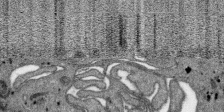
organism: Human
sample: Lung epithelial cells, uninfected (mock) control